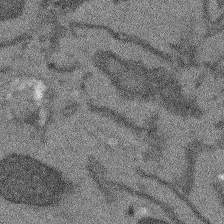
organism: Arabidopsis thaliana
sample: Root tip